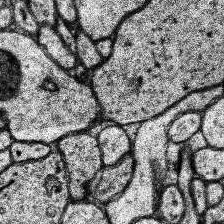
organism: Human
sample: Temporal Lobe